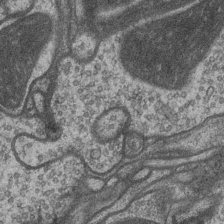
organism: Drosophila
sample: Optic medulla